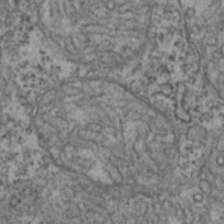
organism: Zebrafish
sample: Zebrafish embryo